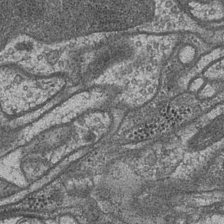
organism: Drosophila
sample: Optic medulla